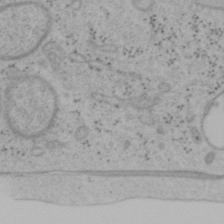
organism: Human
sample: HeLa cells